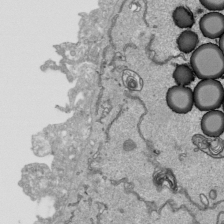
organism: Human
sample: Mitochondria in HCT116 cells